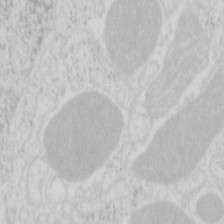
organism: Mouse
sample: Pancreas